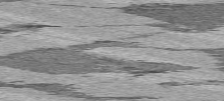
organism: C57BL Mouse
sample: Heart